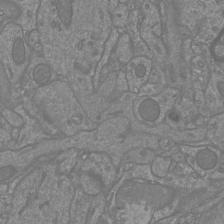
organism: Mouse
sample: Cortical neurons